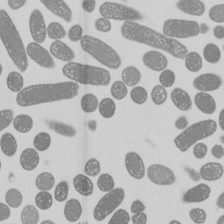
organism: E. coli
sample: Bacterial nucleoid